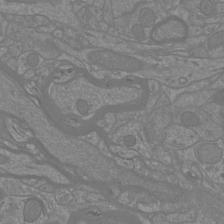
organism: Mouse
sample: Cortical neurons